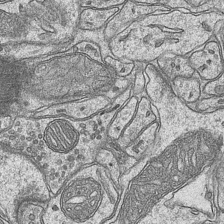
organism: Mouse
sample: CA1 Hippocampus